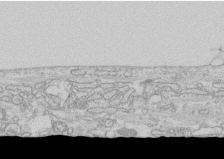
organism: Human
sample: CRL-1474